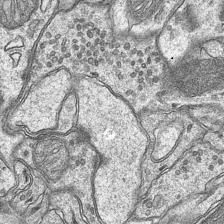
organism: Mouse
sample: CA1 Hippocampus